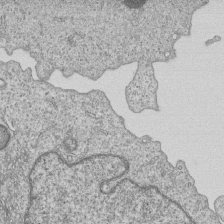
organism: Human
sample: MDA-MB-231 cells